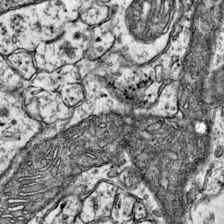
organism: Mouse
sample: Primary visual cortex